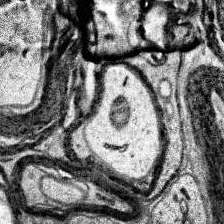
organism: Human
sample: Temporal Lobe